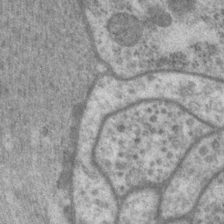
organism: P. pacificus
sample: Pharynx